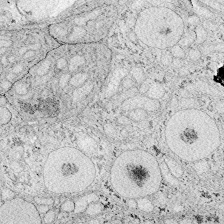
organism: Zebrafish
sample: Whole-Brain